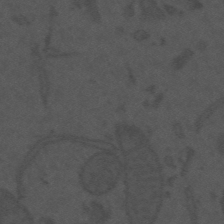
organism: Mouse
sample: Suprachiasmatic nucleus